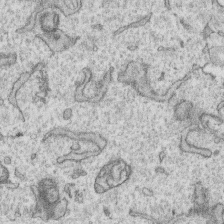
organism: Human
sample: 1205lu cells